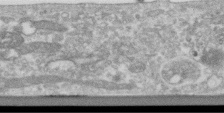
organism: Human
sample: Centriole in RPE cells